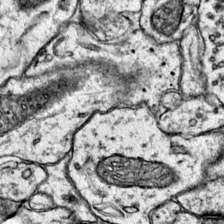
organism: Mouse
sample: Primary visual cortex